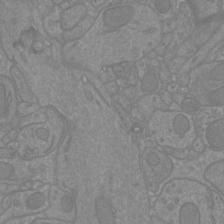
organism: Mouse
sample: Cortical neurons